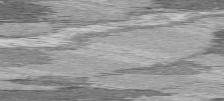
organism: C57BL Mouse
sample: Heart